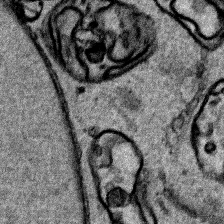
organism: Human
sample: Mitochondria in HCT116 cells